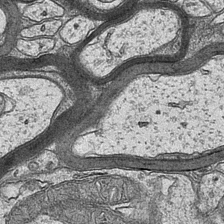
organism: Mouse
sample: CA1 Hippocampus